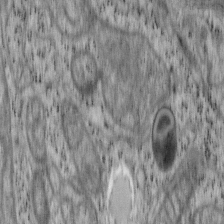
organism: Human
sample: HeLa cells